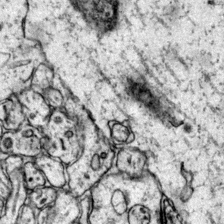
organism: Mouse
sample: Primary visual cortex